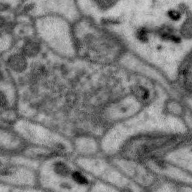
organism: Zebra finch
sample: Brain